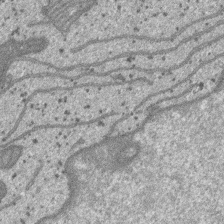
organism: Human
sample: Lung epithelial cells infected with SARS-CoV-2